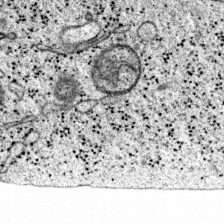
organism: Human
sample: HeLa cells